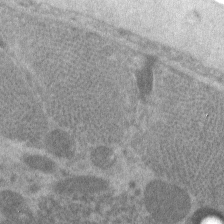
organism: C. elegans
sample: Pharynx